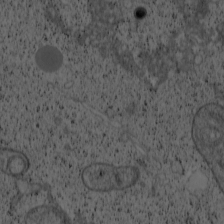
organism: African green monkey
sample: COS-7 cells